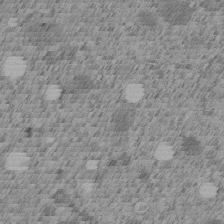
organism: C. elegans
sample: C. elegans embryo early stage